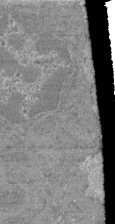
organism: Mouse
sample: Glomerulus